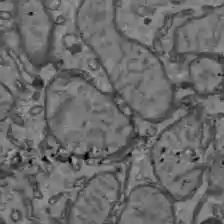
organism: C57BL Mouse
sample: Liver